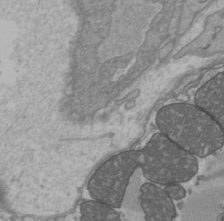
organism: C57BL Mouse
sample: Heart